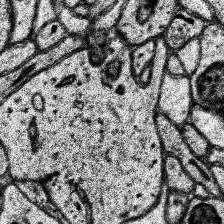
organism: Human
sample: Temporal Lobe